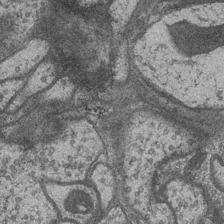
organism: Drosophila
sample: Optic medulla